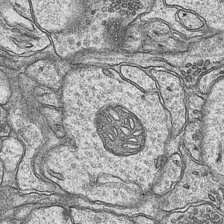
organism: Mouse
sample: CA1 Hippocampus